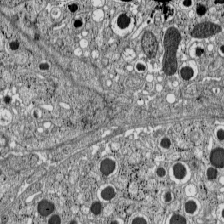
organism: C57BL Mouse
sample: Pancreatic islet